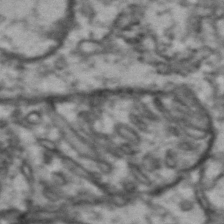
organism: Drosophila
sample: Brain